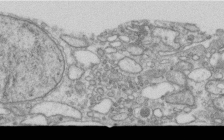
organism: Human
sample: Centriole in RPE cells